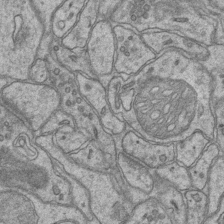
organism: Mouse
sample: CA1 Hippocampus